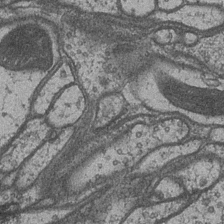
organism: Drosophila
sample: Optic medulla